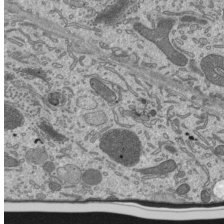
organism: Mouse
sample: Mouse epididymis efferent ductule cilia